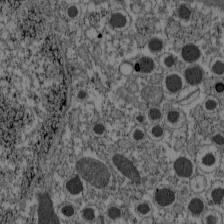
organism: C57BL Mouse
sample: Pancreatic islet